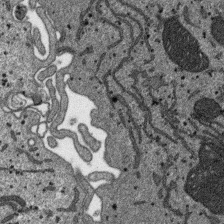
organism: Human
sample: Lung epithelial cells infected with SARS-CoV-2